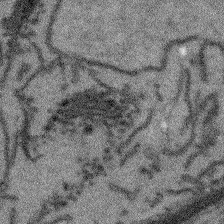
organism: Arabidopsis thaliana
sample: Root tip